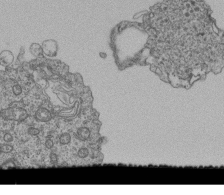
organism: Human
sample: Retinal organoid Rod and Cone cells